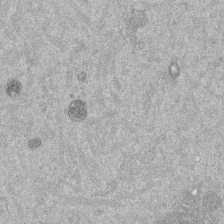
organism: Mouse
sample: Dividing mouse embryo 1 cell stage